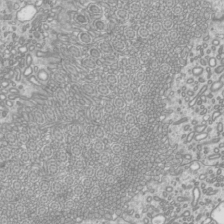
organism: Mouse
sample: Cilia; mouse epididymis